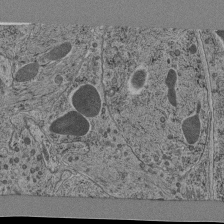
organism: C. elegans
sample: C. elegans pharynx